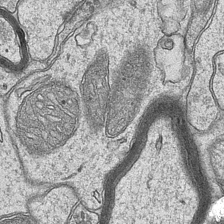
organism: Mouse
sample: CA1 Hippocampus